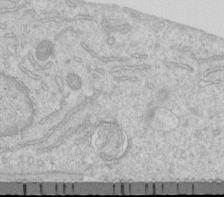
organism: Human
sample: Centriole in RPE cells